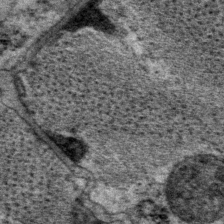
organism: P. pacificus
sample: Pharynx